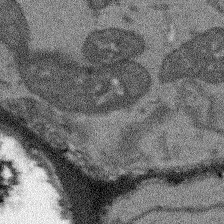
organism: Arabidopsis thaliana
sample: Root tip